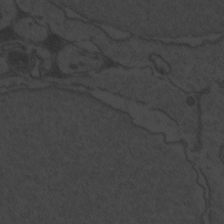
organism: Zebrafish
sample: Macrophage infected with Toxoplasma gondii